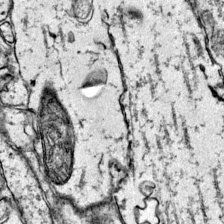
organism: Mouse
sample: Primary visual cortex